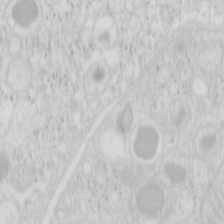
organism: Mouse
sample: Pancreas